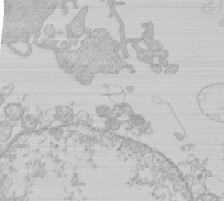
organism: Human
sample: Macrophage cells